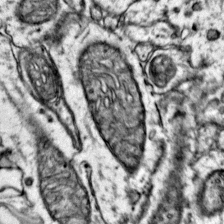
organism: Mouse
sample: Primary visual cortex